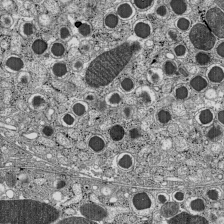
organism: C57BL Mouse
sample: Pancreatic islet